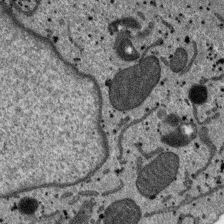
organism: Human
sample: Lung epithelial cells, uninfected (mock) control